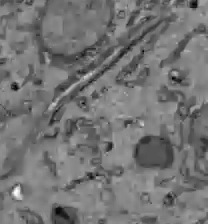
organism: C57BL Mouse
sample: Liver